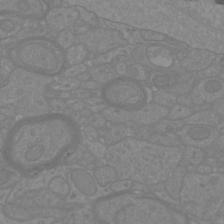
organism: Mouse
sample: Cortical neurons